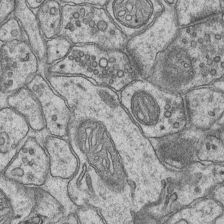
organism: Mouse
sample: CA1 Hippocampus